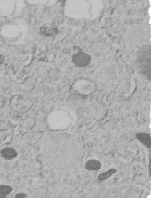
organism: C. elegans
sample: C. elegans embryo early stage